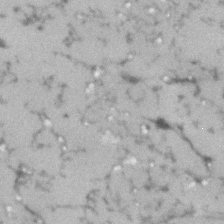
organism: Human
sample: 1205lu cells